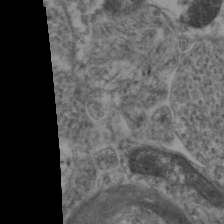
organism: Mouse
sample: Neocortex